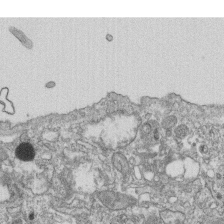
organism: Human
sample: HeLa cell HIV synapse